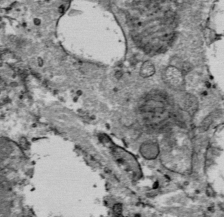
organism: Mouse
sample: Mouse Salivary gland